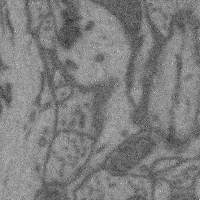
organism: Mouse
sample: Cerebral cortex